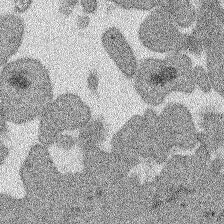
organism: Human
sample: HeLa cells